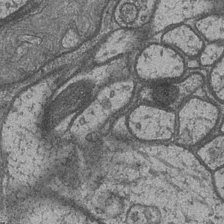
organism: Drosophila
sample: Optic medulla